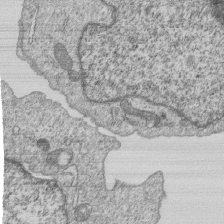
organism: Human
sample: MDA-MB-231 cells